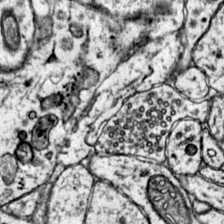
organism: Mouse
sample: Primary visual cortex